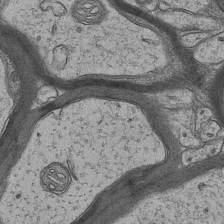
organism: Mouse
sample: CA1 Hippocampus